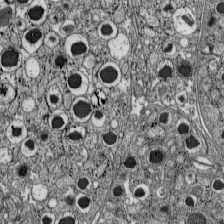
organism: C57BL Mouse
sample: Pancreatic islet